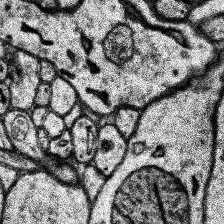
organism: Human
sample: Temporal Lobe